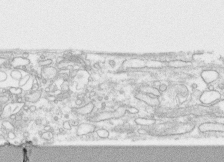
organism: Human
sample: CRL-1474